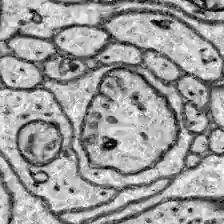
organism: Zebrafish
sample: Brain